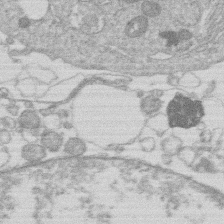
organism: Human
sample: Macrophage cells